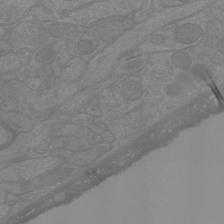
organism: Mouse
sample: Cortical neurons